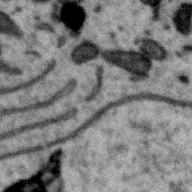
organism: Zebra finch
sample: Brain